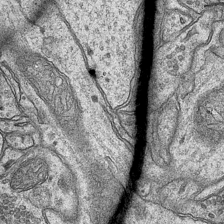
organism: Mouse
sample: CA1 Hippocampus